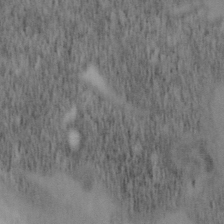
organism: Mouse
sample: OT-I killer T cells with ID8 ovarian cancer cells